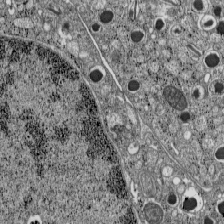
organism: C57BL Mouse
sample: Pancreatic islet